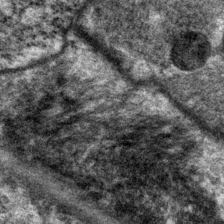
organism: P. pacificus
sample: Pharynx